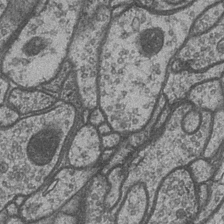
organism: Drosophila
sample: Optic medulla